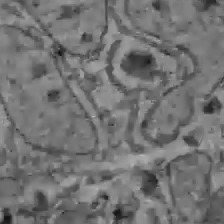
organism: C57BL Mouse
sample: Liver